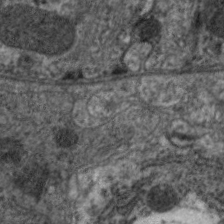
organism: C. elegans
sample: Pharynx